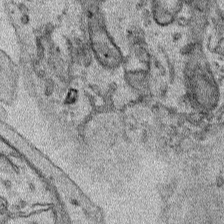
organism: Human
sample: Mitochondria in HCT116 cells